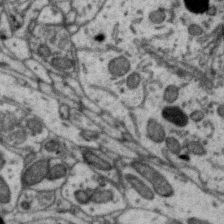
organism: Zebra finch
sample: Brain